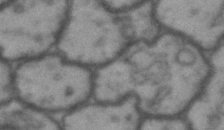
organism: Drosophila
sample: Brain